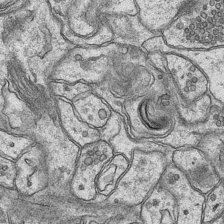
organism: Mouse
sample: CA1 Hippocampus